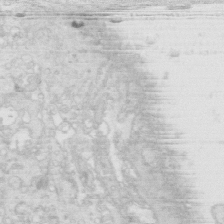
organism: Mouse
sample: Multiciliated cells